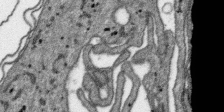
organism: Human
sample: Lung epithelial cells, uninfected (mock) control